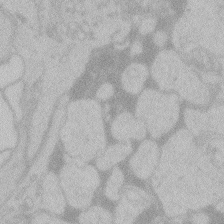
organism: Zebrafish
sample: Macrophage infected with Toxoplasma gondii